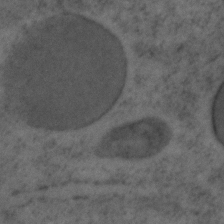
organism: C. elegans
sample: C. elegans embryo